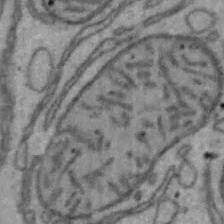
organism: Mouse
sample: Liver